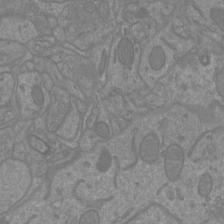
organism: Mouse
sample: Cortical neurons